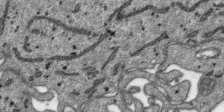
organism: Human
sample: Lung epithelial cells, uninfected (mock) control